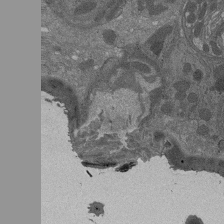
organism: Drosophila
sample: Antenna